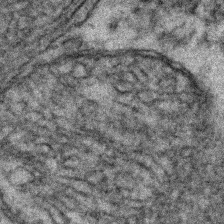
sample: Kidney